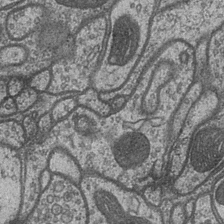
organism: Drosophila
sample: Optic medulla